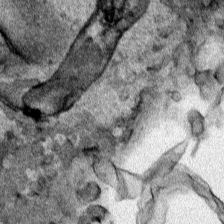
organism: Human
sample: Mitochondria in HCT116 cells